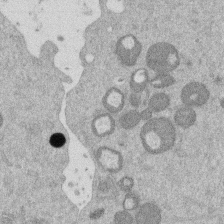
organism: Mouse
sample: Dividing mouse embryo 1 cell stage